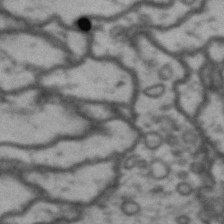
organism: Drosophila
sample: Brain